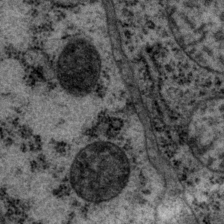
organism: P. pacificus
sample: Pharynx